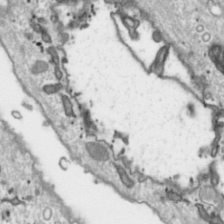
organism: Toxoplasma gondii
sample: Parasites in a vacuole inside a host cell